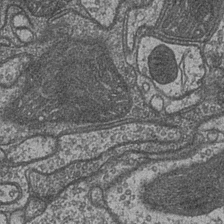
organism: Drosophila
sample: Optic medulla